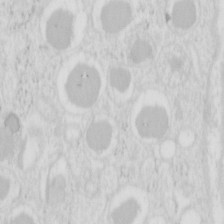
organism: Mouse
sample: Pancreas